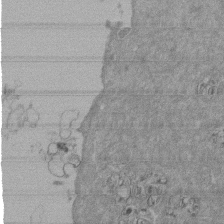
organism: Mouse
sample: ED-1 cell nuclei; centrioles